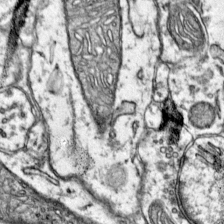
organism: Mouse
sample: Primary visual cortex